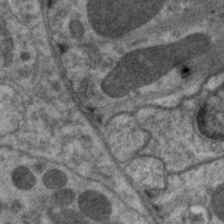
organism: C. elegans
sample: Pharynx